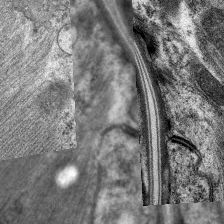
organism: C. elegans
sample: Pharynx